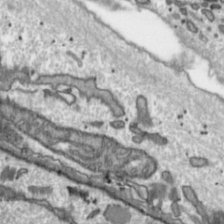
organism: Toxoplasma gondii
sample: Parasites in a vacuole inside a host cell